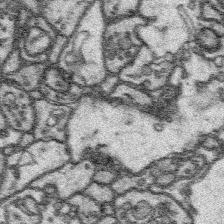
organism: Platynereis dumerilii